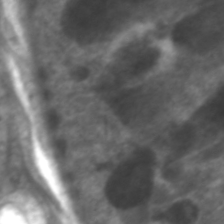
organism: C. elegans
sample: Pharynx